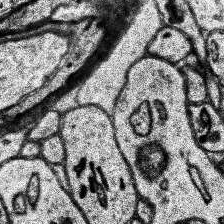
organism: Human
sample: Temporal Lobe